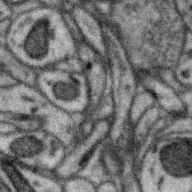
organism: Zebra finch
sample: Brain